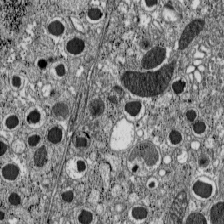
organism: C57BL Mouse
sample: Pancreatic islet